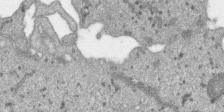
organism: Human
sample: Lung epithelial cells infected with SARS-CoV-2